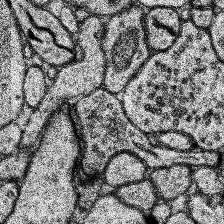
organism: Human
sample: Temporal Lobe